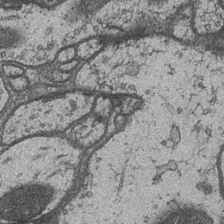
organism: Drosophila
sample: Optic medulla